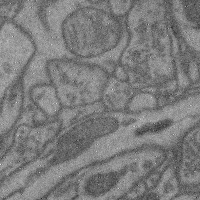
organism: Mouse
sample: Cerebral cortex